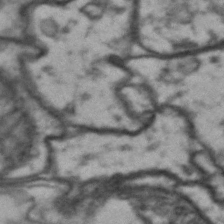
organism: Drosophila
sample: Brain